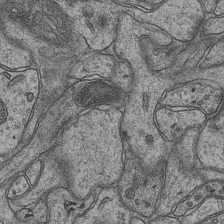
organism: Mouse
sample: CA1 Hippocampus